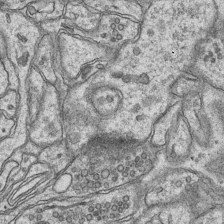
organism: Mouse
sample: CA1 Hippocampus